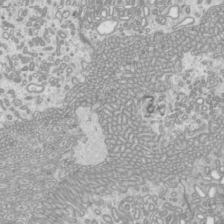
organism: Mouse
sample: Cilia; mouse epididymis